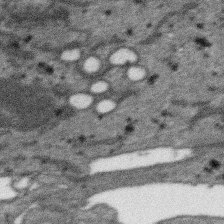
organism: Human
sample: Lung epithelial cells infected with SARS-CoV-2